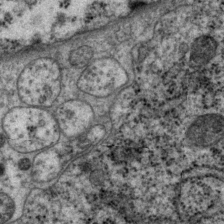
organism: P. pacificus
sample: Pharynx